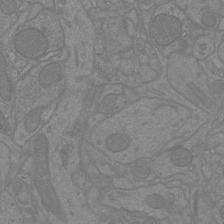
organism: Mouse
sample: Cortical neurons